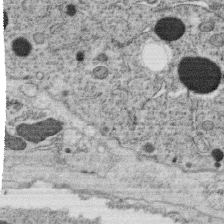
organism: C. elegans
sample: C. elegans oocyte; sperm cells